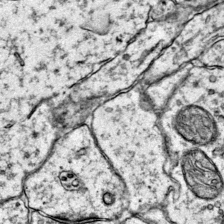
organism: Mouse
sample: Primary visual cortex